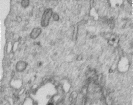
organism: Human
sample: Centriole in RPE cells